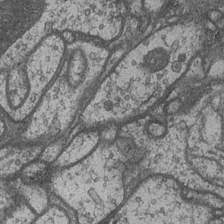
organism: Drosophila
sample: Optic medulla